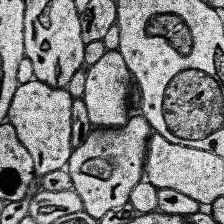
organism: Human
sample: Temporal Lobe